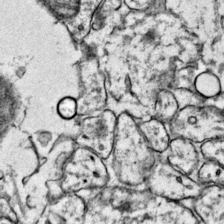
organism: Mouse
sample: Primary visual cortex